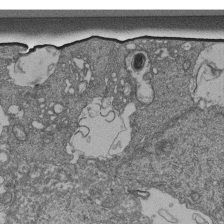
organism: Human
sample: Retinal organoid Rod and Cone cells